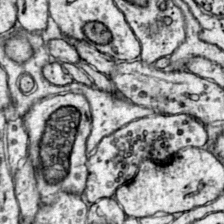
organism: Mouse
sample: Primary visual cortex